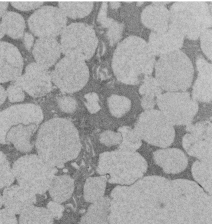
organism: Rat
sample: Salivary granule